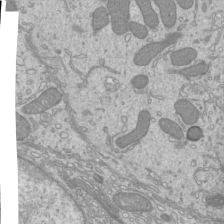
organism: Mouse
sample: Cilia; mouse epididymis